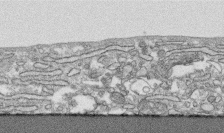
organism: Human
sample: CRL-1474